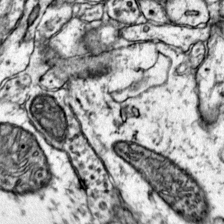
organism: Mouse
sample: Primary visual cortex